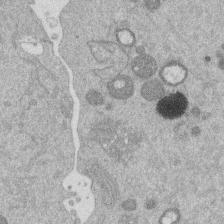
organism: Mouse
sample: Dividing mouse embryo 1 cell stage